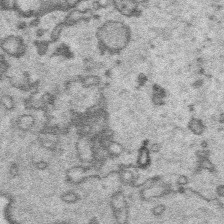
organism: Platynereis dumerilii